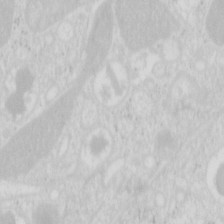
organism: Mouse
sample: Pancreas